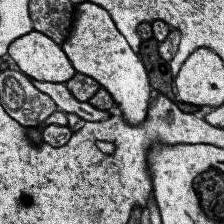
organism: Human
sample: Temporal Lobe